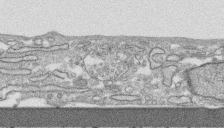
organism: Human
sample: CRL-1474